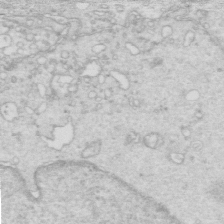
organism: Mouse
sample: Multiciliated cells